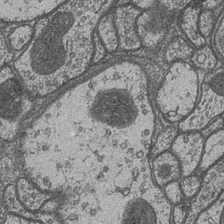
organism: Drosophila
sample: Optic medulla